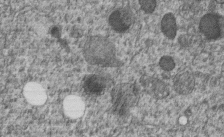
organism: C. elegans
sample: C. elegans embryo early stage